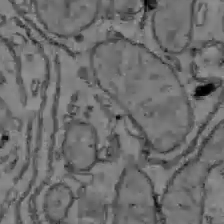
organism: C57BL Mouse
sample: Liver